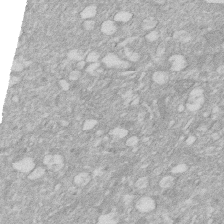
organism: Human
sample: HIV infected U937 cells